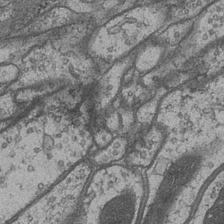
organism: Drosophila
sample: Optic medulla